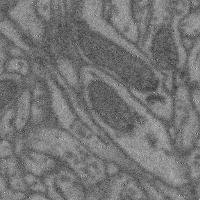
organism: Mouse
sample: Cerebral cortex